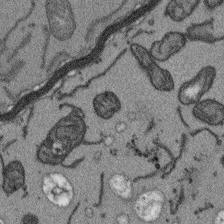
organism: Arabidopsis thaliana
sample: Root tip